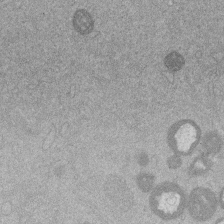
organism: Mouse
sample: Dividing mouse embryo 1 cell stage